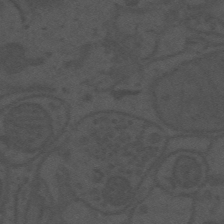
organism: Mouse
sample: Suprachiasmatic nucleus